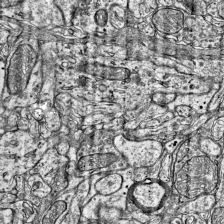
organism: Mouse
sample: Visual Cortex